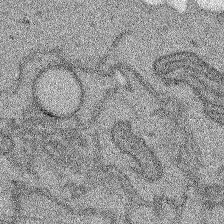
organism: Human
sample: HeLa cells